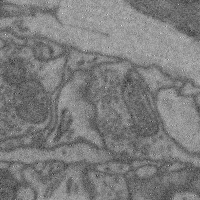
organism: Mouse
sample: Cerebral cortex